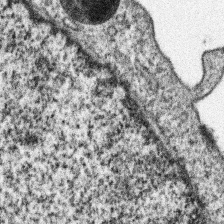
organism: Human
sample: HeLa cells